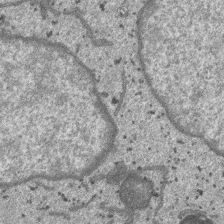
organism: Human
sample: Lung epithelial cells infected with SARS-CoV-2